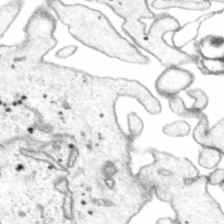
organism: Human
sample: HeLa cells